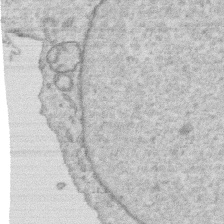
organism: Human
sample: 1205lu cells